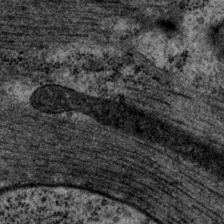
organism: P. pacificus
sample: Pharynx